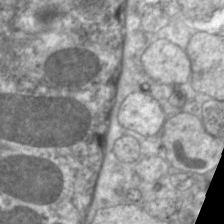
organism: C. elegans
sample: Pharynx